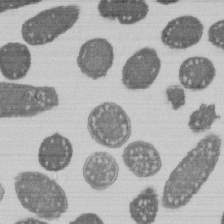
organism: E. coli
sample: Bacterial nucleoid